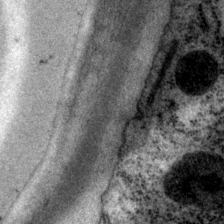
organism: P. pacificus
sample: Pharynx